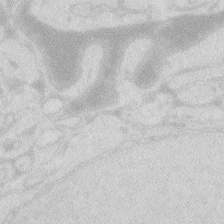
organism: Zebrafish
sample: Macrophage